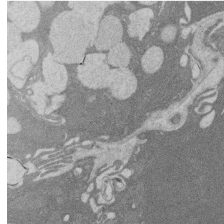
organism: Rat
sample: Salivary granule